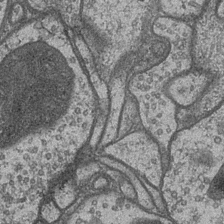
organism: Drosophila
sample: Optic medulla